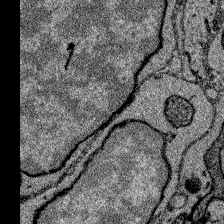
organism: Zebrafish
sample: Larval olfactory bulb